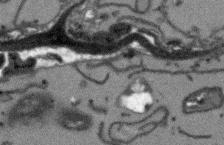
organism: Arabidopsis thaliana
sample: Root tip